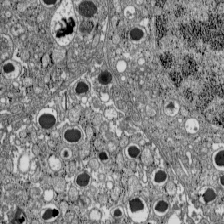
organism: C57BL Mouse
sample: Pancreatic islet